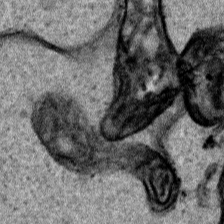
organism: Human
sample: Mitochondria in HCT116 cells